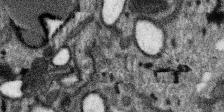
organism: Human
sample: Lung epithelial cells infected with SARS-CoV-2